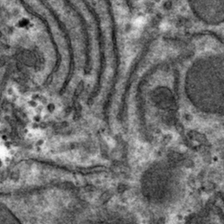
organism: Mouse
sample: Mouse hepatocytes